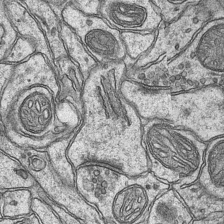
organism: Mouse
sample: CA1 Hippocampus